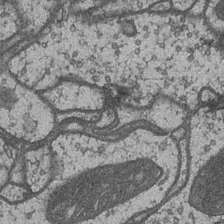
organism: Drosophila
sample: Optic medulla